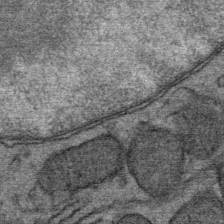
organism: Mouse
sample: Mouse Salivary gland